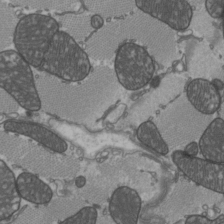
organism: C57BL Mouse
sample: Heart